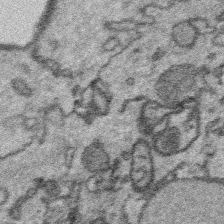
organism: Platynereis dumerilii